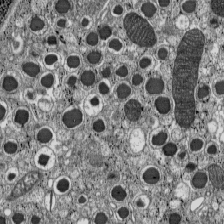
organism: C57BL Mouse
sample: Pancreatic islet